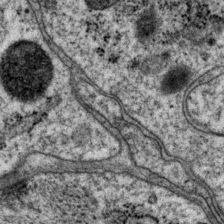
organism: P. pacificus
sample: Pharynx